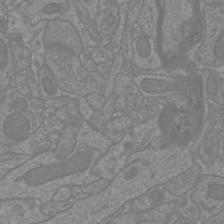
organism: Mouse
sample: Cortical neurons